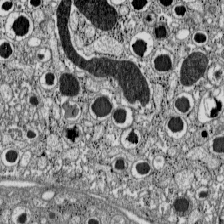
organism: C57BL Mouse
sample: Pancreatic islet